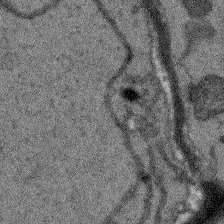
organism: Arabidopsis thaliana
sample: Root tip